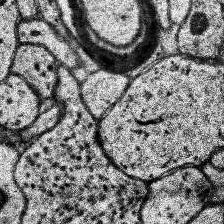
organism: Human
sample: Temporal Lobe